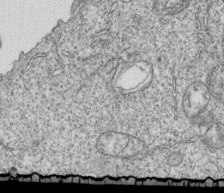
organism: Human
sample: HeLa cell HIV synapse